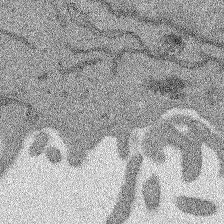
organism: Human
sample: HeLa cells